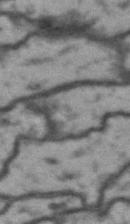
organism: Drosophila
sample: Brain